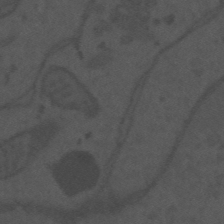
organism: Mouse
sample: Suprachiasmatic nucleus